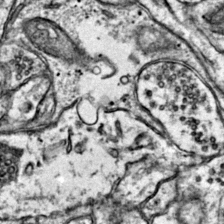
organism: Mouse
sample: Primary visual cortex